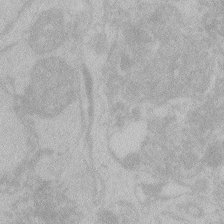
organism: Zebrafish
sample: Macrophage infected with Toxoplasma gondii